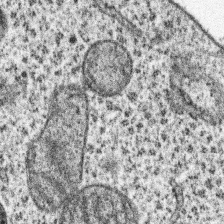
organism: Human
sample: HeLa cells